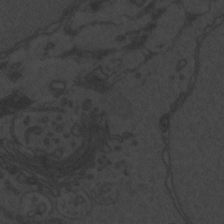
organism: Zebrafish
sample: Macrophage infected with Toxoplasma gondii